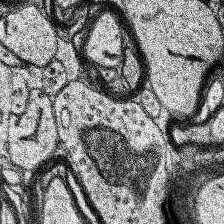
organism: Human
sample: Temporal Lobe